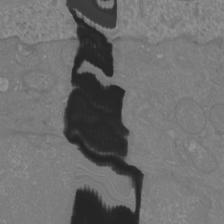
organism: Mouse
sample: Cortical neurons